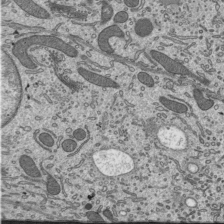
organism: Mouse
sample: Mouse epididymis efferent ductule cilia